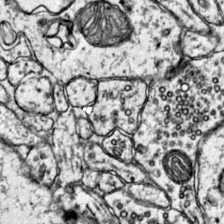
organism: Mouse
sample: Primary visual cortex